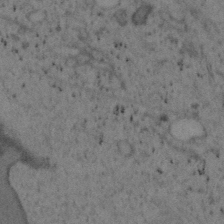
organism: Human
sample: HeLa cells